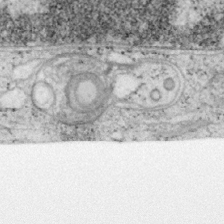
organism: Mouse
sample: OT-I killer T cells with ID8 ovarian cancer cells